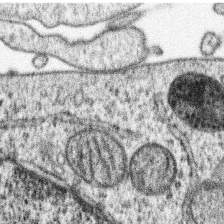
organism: Human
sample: HeLa cells